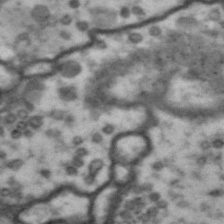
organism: Drosophila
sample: Brain